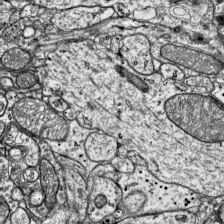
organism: Mouse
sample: Visual Cortex